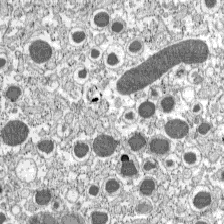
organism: C57BL Mouse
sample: Pancreatic islet